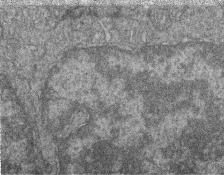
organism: Zebrafish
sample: Cilia; retinal pigment epithelium